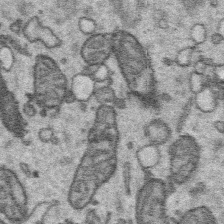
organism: Platynereis dumerilii